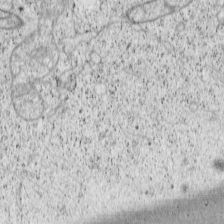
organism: African green monkey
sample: COS-7 cells